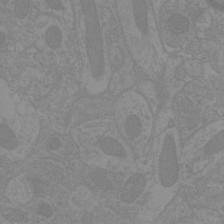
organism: Mouse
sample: Cortical neurons